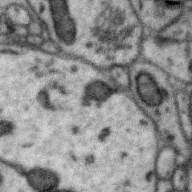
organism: Zebra finch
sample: Brain